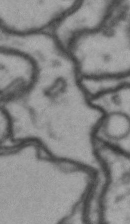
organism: Drosophila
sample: Brain